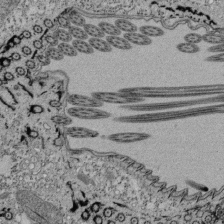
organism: Tetrahymena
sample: Cilia in tetrahymena